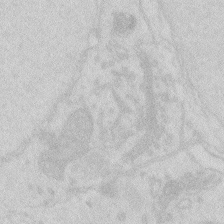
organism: Zebrafish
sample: Macrophage